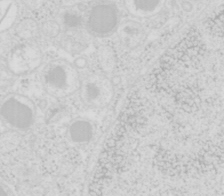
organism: Mouse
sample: Pancreas